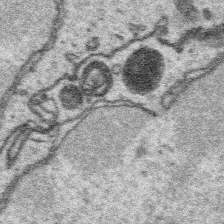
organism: Platynereis dumerilii